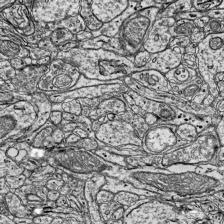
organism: Mouse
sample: Visual Cortex